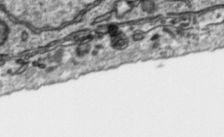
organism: Toxoplasma gondii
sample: Parasites in a vacuole inside a host cell